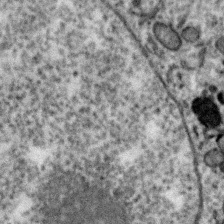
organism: Zebra finch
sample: Brain